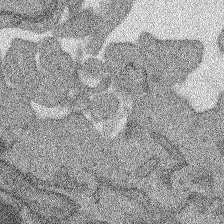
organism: Human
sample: HeLa cells